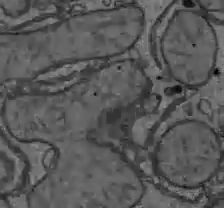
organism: C57BL Mouse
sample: Liver